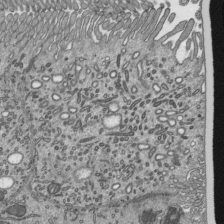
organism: Mouse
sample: Mouse epididymis efferent ductule cilia